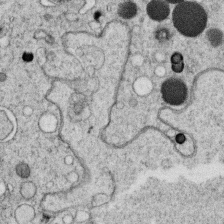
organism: C. elegans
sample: C. elegans oocyte; sperm cells